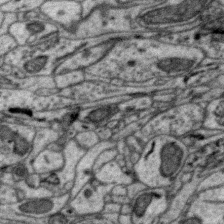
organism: Zebra finch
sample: Brain